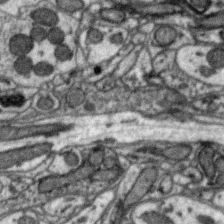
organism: Zebra finch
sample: Brain